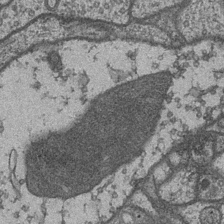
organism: Drosophila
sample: Optic medulla